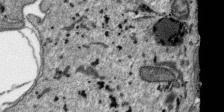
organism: Human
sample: Lung epithelial cells, uninfected (mock) control